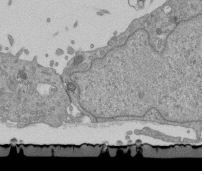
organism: Mouse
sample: ED-1 cell nuclei; centrioles